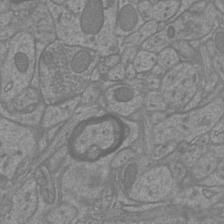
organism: Mouse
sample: Cortical neurons